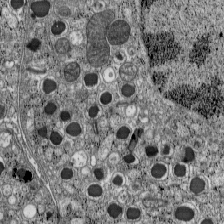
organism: C57BL Mouse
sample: Pancreatic islet